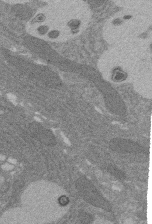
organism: Rat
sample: Salivary granule